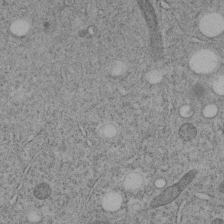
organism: C. elegans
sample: C. elegans embryo early stage